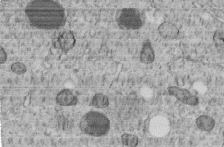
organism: C. elegans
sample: C. elegans embryo early stage